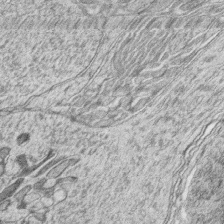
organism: Zebrafish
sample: synaptic ribbons in rod cells and cone cells